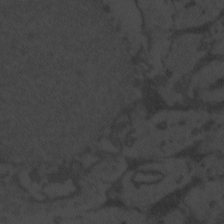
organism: Zebrafish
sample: Macrophage infected with Toxoplasma gondii